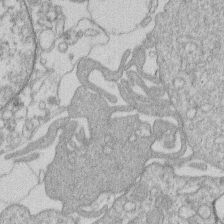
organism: Human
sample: Macrophage cells